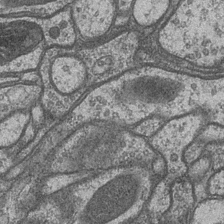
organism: Drosophila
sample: Optic medulla